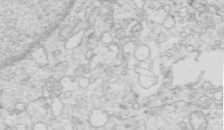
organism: Mouse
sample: Multiciliated cells